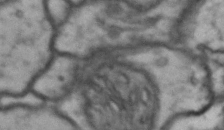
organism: Drosophila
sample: Brain